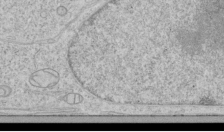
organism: Human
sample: Mitochondria in HCT116 cells